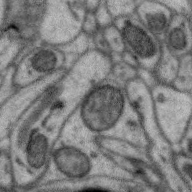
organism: Zebra finch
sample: Brain